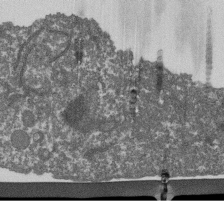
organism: Dictyostelium discoideum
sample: Dictyostelium multivesicular bodies